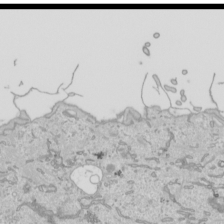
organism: Human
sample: Mitochondria in HCT116 cells